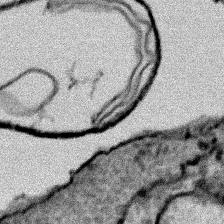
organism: Human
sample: Mitochondria in HCT116 cells